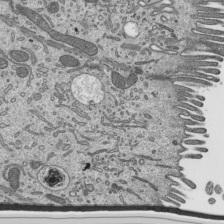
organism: Mouse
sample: Mouse epididymis efferent ductule cilia